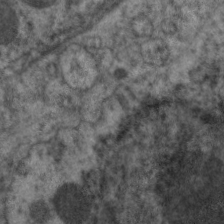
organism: C. elegans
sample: Pharynx